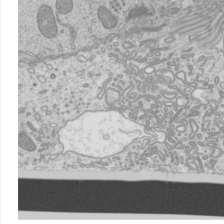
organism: Mouse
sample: Cilia; mouse epididymis